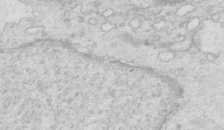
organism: Mouse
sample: Multiciliated cells